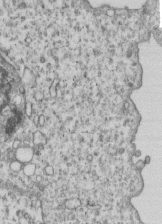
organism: Human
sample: MDA-MB-231 cells